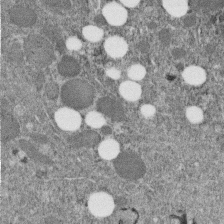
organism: C. elegans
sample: C. elegans embryo early stage